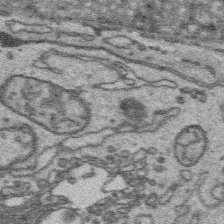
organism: Platynereis dumerilii